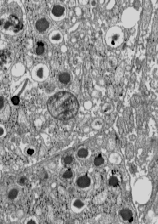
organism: C57BL Mouse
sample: Pancreatic islet